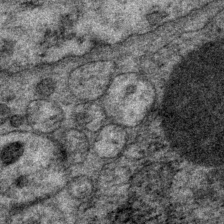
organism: P. pacificus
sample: Pharynx